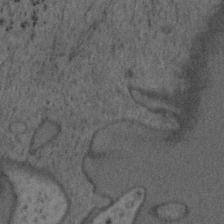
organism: Human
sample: HeLa cells